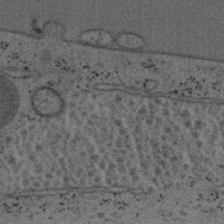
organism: Human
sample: HeLa cells